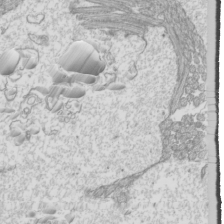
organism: Mouse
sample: Cilia; mouse epididymis